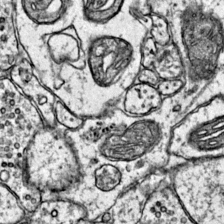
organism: Mouse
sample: Primary visual cortex